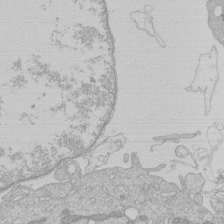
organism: Human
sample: Macrophage cells